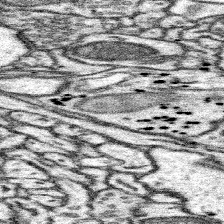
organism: Mouse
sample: Somatosensory cortex neuropil